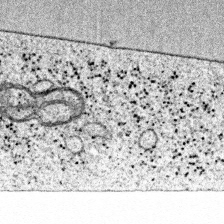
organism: Human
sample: HeLa cells